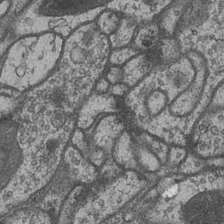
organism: Drosophila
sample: Optic medulla